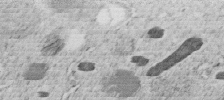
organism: C. elegans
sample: C. elegans embryo early stage